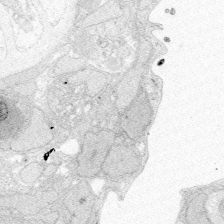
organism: Zebrafish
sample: Whole-Brain